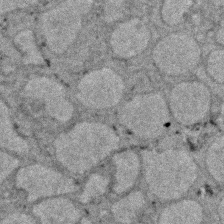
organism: Zebrafish